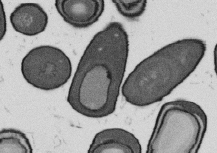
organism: B. subtilis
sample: Bacterial spore